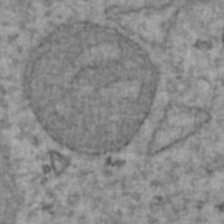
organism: Human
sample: Blood